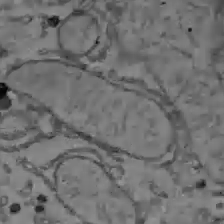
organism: C57BL Mouse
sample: Liver